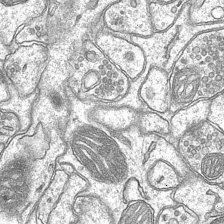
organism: Mouse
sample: CA1 Hippocampus